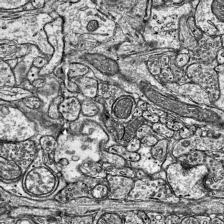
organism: Mouse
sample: Visual Cortex